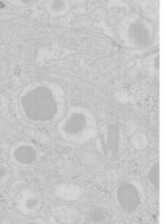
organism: Mouse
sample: Pancreas